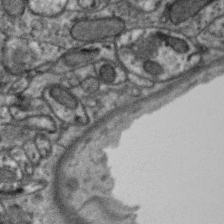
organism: Zebra finch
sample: Brain